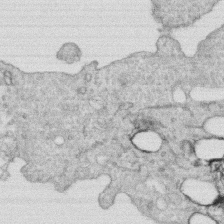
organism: Human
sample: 1205lu cells